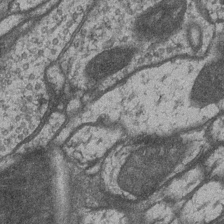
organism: Drosophila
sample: Optic medulla